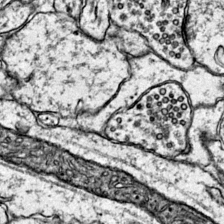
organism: Mouse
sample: Primary visual cortex